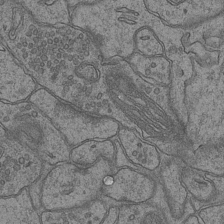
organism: Mouse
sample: CA1 Hippocampus